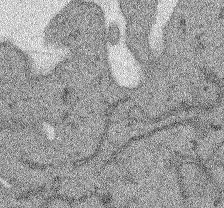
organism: Human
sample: HeLa cells